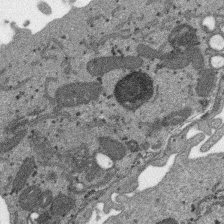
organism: Human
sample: Lung epithelial cells infected with SARS-CoV-2